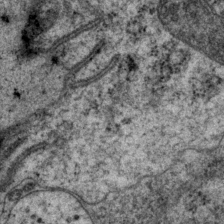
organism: P. pacificus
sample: Pharynx